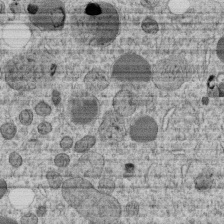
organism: C. elegans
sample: C. elegans embryo early stage